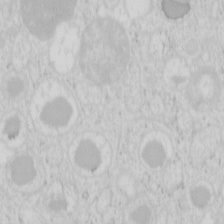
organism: Mouse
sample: Pancreas